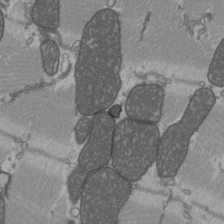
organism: C57BL Mouse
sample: Heart